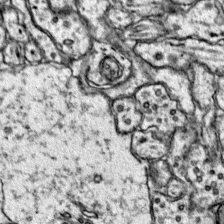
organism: Mouse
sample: Primary visual cortex